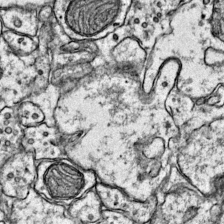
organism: Mouse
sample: Primary visual cortex